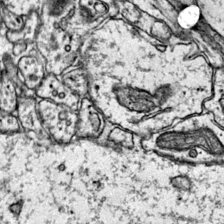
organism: Mouse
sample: Primary visual cortex